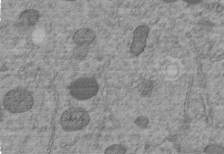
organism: C. elegans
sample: C. elegans embryo early stage